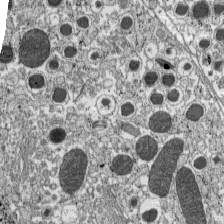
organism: C57BL Mouse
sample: Pancreatic islet